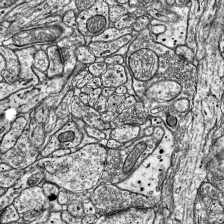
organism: Mouse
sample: Visual Cortex